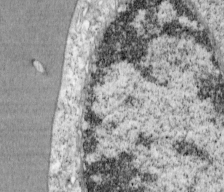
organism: African green monkey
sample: COS-7 cells